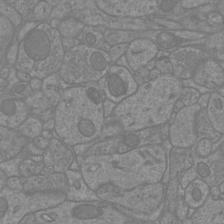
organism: Mouse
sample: Cortical neurons